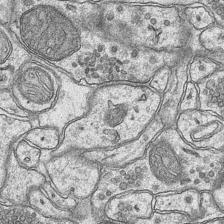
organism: Mouse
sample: CA1 Hippocampus